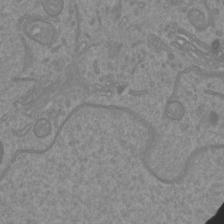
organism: Mouse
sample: Cortical neurons